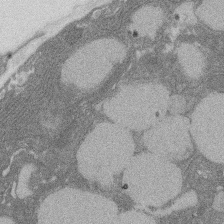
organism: Rat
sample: Salivary granule